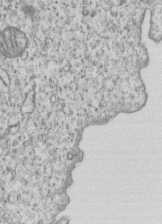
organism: Human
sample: MDA-MB-231 cells